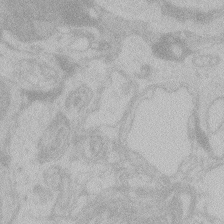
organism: Zebrafish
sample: Macrophage infected with Toxoplasma gondii